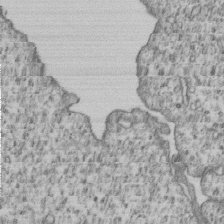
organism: Human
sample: MDA-MB-231 cells